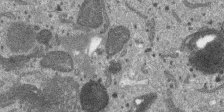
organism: Human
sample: Lung epithelial cells infected with SARS-CoV-2